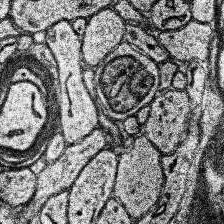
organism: Human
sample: Temporal Lobe